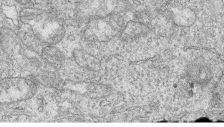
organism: Human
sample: HeLa cell HIV synapse